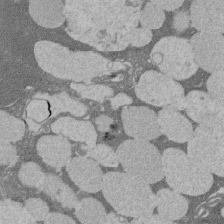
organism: Rat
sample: Salivary granule